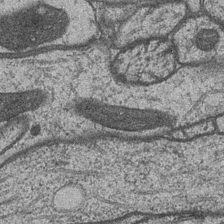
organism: Drosophila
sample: Optic medulla